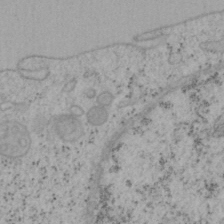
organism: Human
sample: HeLa cells